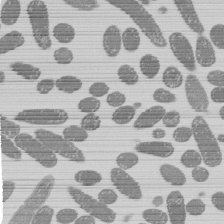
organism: E. coli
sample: Bacterial nucleoid